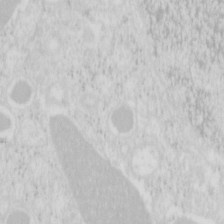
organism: Mouse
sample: Pancreas